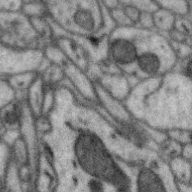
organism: Zebra finch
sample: Brain